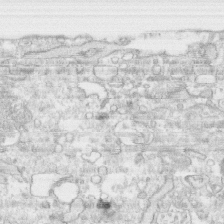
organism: Human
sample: CRL-1474